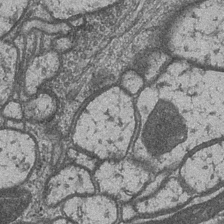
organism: Drosophila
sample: Optic medulla